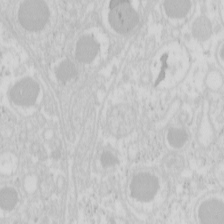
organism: Mouse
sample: Pancreas